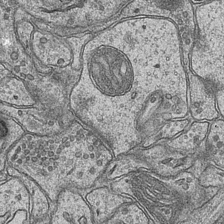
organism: Mouse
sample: CA1 Hippocampus